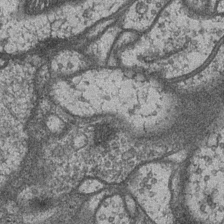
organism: Drosophila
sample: Optic medulla